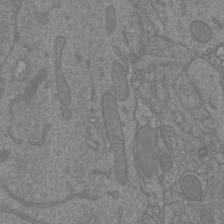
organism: Mouse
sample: Cortical neurons